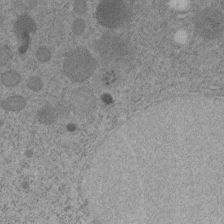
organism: C. elegans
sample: C. elegans embryo early stage